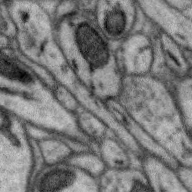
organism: Zebra finch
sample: Brain